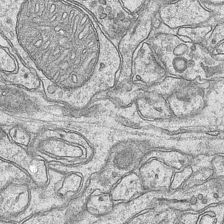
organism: Mouse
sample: CA1 Hippocampus